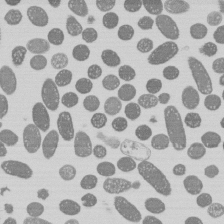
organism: E. coli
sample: Bacterial nucleoid